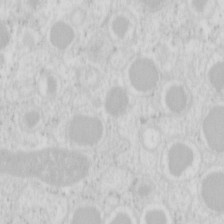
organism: Mouse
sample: Pancreas